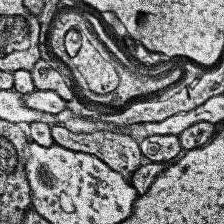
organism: Human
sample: Temporal Lobe